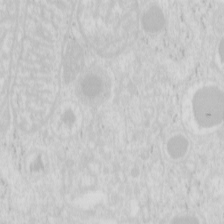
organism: Mouse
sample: Pancreas